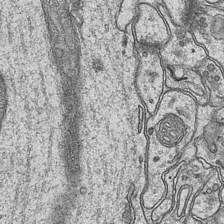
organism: Mouse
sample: CA1 Hippocampus